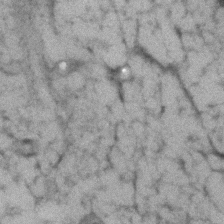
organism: Human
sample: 1205lu cells